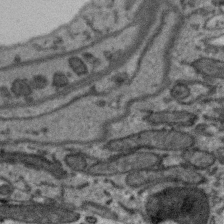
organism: Zebra finch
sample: Brain